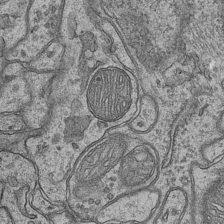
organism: Mouse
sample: CA1 Hippocampus